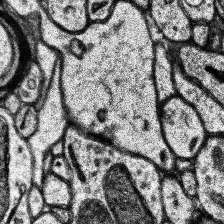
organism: Human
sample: Temporal Lobe